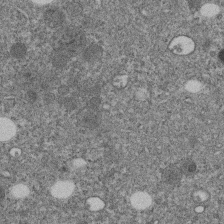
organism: C. elegans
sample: C. elegans embryo early stage